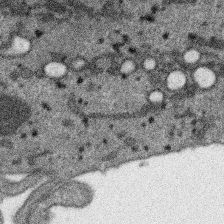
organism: Human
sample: Lung epithelial cells infected with SARS-CoV-2